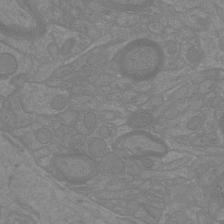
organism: Mouse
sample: Cortical neurons